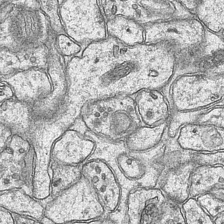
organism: Mouse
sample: CA1 Hippocampus